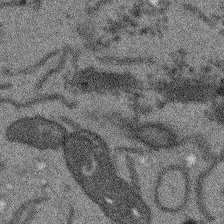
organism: Arabidopsis thaliana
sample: Root tip